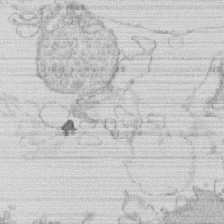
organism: Human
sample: Macrophage cells